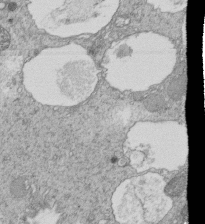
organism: Tetrahymena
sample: Cilia in tetrahymena